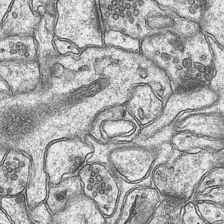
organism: Mouse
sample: CA1 Hippocampus